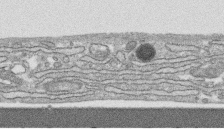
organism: Human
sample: CRL-1474